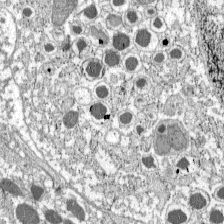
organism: C57BL Mouse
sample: Pancreatic islet